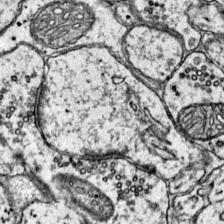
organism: Mouse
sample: Primary visual cortex